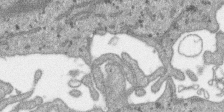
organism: Human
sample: Lung epithelial cells infected with SARS-CoV-2